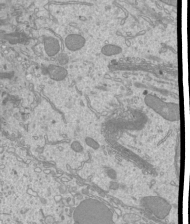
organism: Mouse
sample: Cilia; mouse epididymis